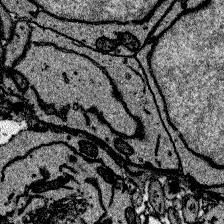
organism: Zebrafish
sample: Larval olfactory bulb